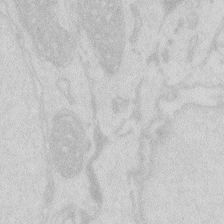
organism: Zebrafish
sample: Macrophage